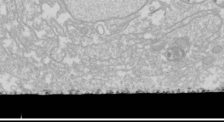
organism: Drosophila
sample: Cell division; meiosis; drosophila spermatocytes